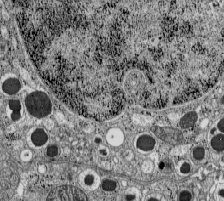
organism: C57BL Mouse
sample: Pancreatic islet